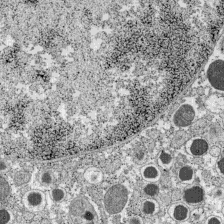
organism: C57BL Mouse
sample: Pancreatic islet